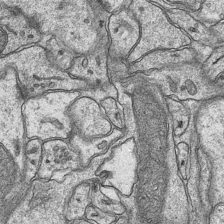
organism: Mouse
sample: CA1 Hippocampus